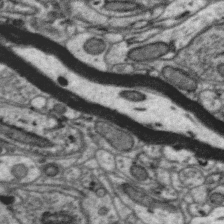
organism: Zebra finch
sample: Brain